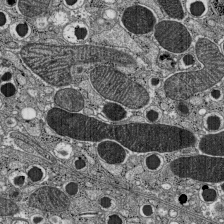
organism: C57BL Mouse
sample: Pancreatic islet